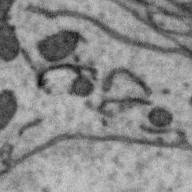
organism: Zebra finch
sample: Brain